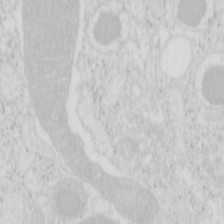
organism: Mouse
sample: Pancreas